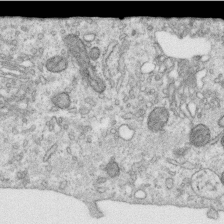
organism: Human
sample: Centriole in RPE cells